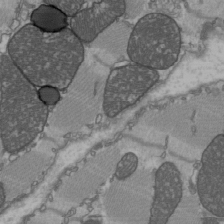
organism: C57BL Mouse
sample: Heart